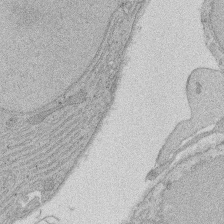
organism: Rat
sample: Salivary granule